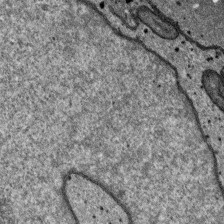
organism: Human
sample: Lung epithelial cells, uninfected (mock) control